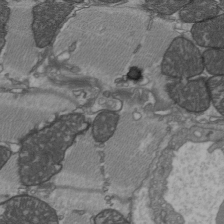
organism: C57BL Mouse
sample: Heart